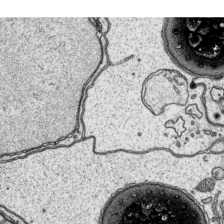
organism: Platynereis dumerilii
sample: Parapodia